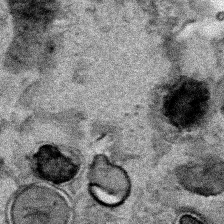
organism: Human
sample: Mitochondria in HCT116 cells